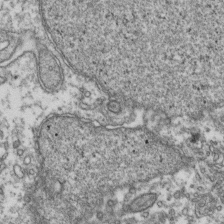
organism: Human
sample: Activated Jurkat CD4+ T cells